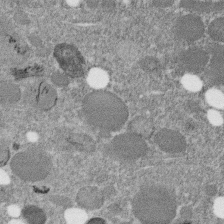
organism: C. elegans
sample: C. elegans embryo early stage